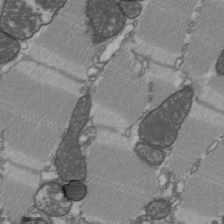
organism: C57BL Mouse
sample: Heart